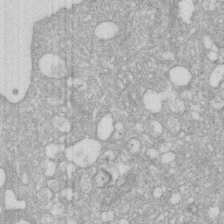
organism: Human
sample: HIV infected U937 cells